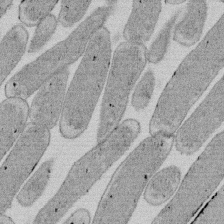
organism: E. coli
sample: Bacterial nucleoid